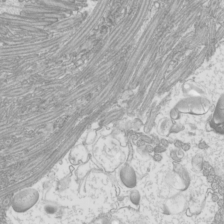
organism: Mouse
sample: Cilia; mouse epididymis